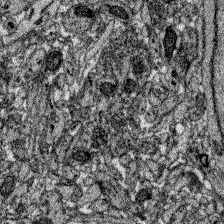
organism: Zebrafish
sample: Larval olfactory bulb